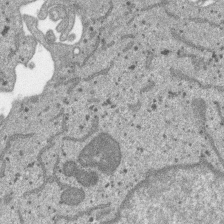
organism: Human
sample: Lung epithelial cells infected with SARS-CoV-2